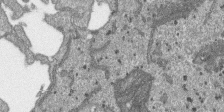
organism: Human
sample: Lung epithelial cells infected with SARS-CoV-2